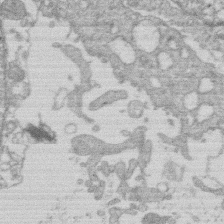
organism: Human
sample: Macrophage cells